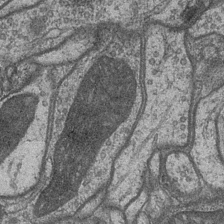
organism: Drosophila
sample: Optic medulla